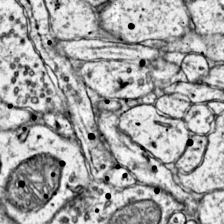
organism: Mouse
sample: Primary visual cortex